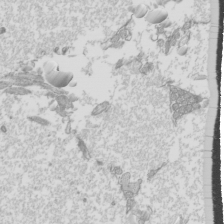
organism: Mouse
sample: Cilia; mouse epididymis